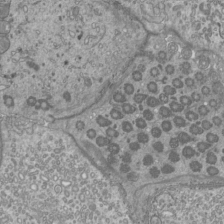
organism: Mouse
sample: Cilia; mouse epididymis